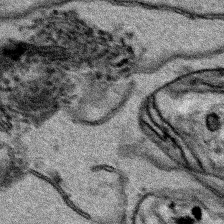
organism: Human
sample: Mitochondria in HCT116 cells